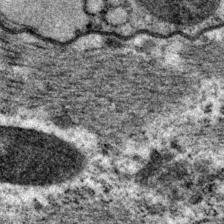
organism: P. pacificus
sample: Pharynx